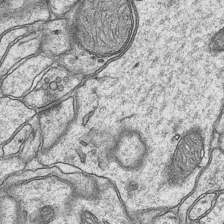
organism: Mouse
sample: CA1 Hippocampus